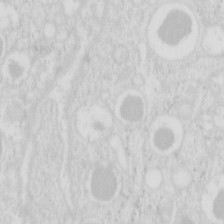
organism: Mouse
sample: Pancreas